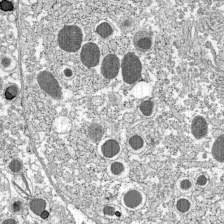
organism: C57BL Mouse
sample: Pancreatic islet